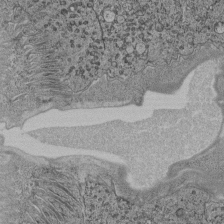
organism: C. elegans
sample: C. elegans pharynx